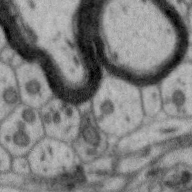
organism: Zebra finch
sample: Brain